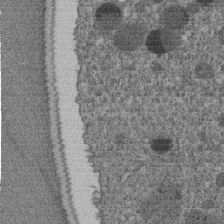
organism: C. elegans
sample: C. elegans embryo early stage